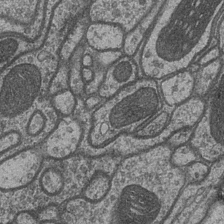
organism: Drosophila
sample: Optic medulla